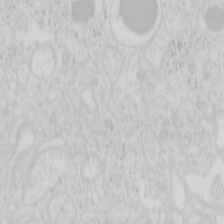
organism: Mouse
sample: Pancreas